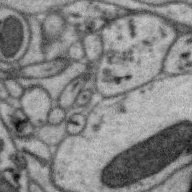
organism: Zebra finch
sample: Brain